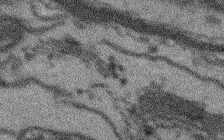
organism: Arabidopsis thaliana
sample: Root tip